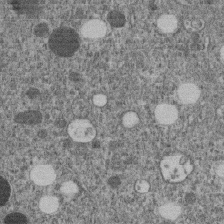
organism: C. elegans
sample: C. elegans embryo early stage